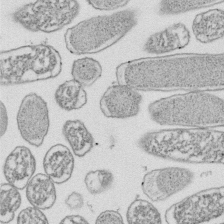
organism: E. coli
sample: Bacterial nucleoid